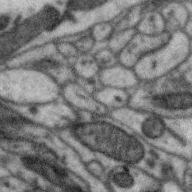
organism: Zebra finch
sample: Brain